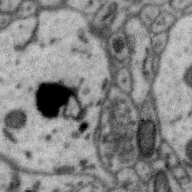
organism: Zebra finch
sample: Brain